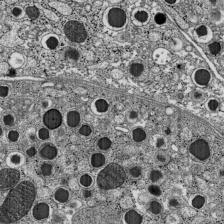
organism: C57BL Mouse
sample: Pancreatic islet